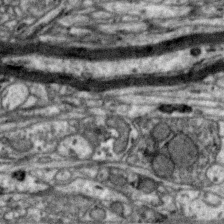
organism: Zebra finch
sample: Brain